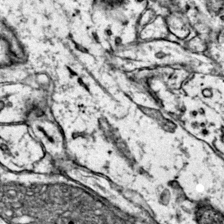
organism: Mouse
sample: Primary visual cortex